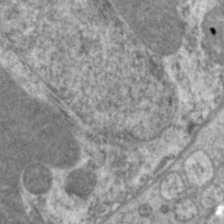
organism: C. elegans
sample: Pharynx